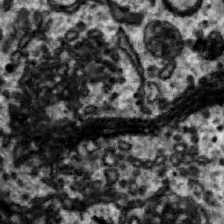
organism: Human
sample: HeLa cells